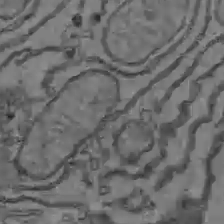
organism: C57BL Mouse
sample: Liver